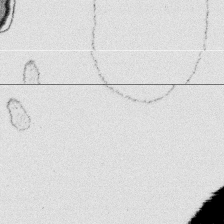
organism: Platynereis dumerilii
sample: Parapodia